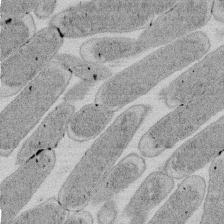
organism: E. coli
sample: Bacterial nucleoid